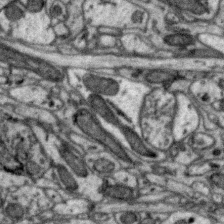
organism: Zebra finch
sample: Brain